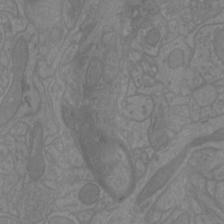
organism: Mouse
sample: Cortical neurons